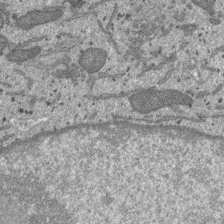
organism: Human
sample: Lung epithelial cells infected with SARS-CoV-2